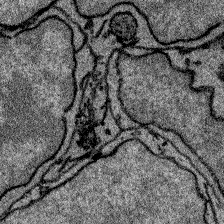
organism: Zebrafish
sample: Larval olfactory bulb